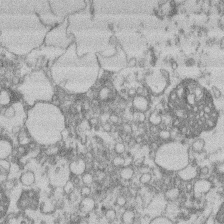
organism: Mouse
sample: T cell stromal cell synapse